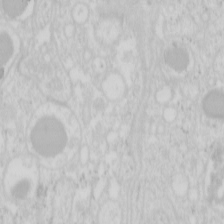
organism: Mouse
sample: Pancreas